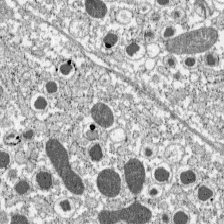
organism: C57BL Mouse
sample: Pancreatic islet